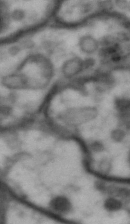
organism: Drosophila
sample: Brain